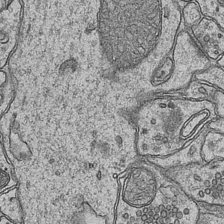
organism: Mouse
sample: CA1 Hippocampus